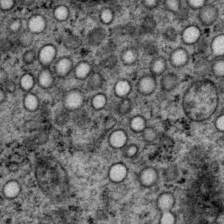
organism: P. pacificus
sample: Pharynx